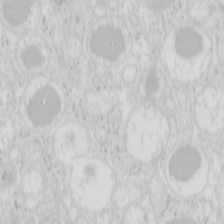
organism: Mouse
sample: Pancreas